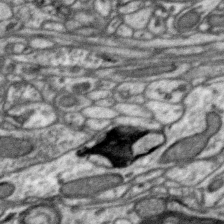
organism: Zebra finch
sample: Brain